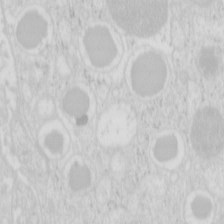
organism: Mouse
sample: Pancreas